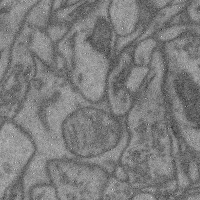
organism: Mouse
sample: Cerebral cortex